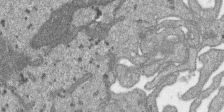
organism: Human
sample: Lung epithelial cells infected with SARS-CoV-2